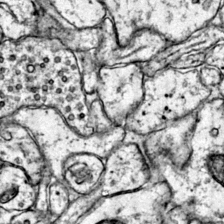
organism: Mouse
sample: Primary visual cortex